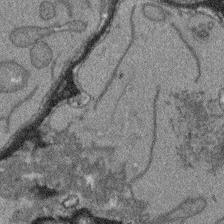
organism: Arabidopsis thaliana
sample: Root tip